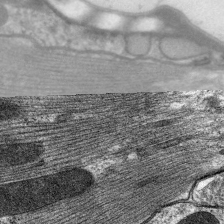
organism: C. elegans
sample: Pharynx